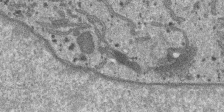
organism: Human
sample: Lung epithelial cells infected with SARS-CoV-2